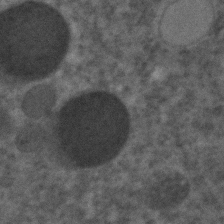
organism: C. elegans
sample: C. elegans embryo